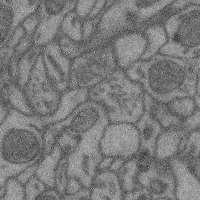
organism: Mouse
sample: Cerebral cortex